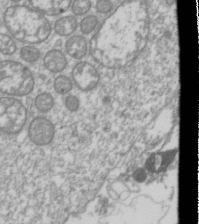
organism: Drosophila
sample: Cell division; meiosis; drosophila spermatocytes